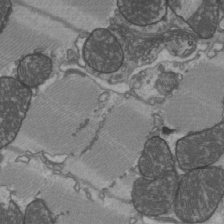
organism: C57BL Mouse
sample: Heart